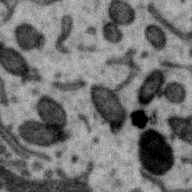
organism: Zebra finch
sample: Brain